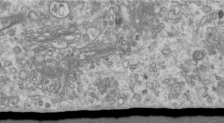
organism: Human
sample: Centriole in RPE cells